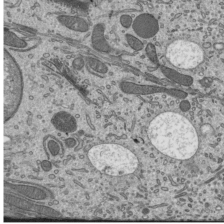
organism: Mouse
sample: Mouse epididymis efferent ductule cilia